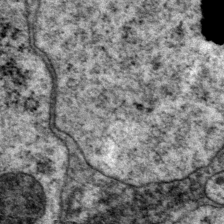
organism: P. pacificus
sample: Pharynx